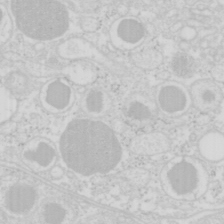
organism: Mouse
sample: Pancreas